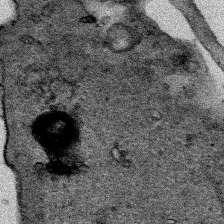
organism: Human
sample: Mitochondria in HCT116 cells